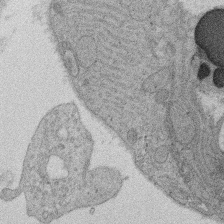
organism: Rat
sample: Salivary granule